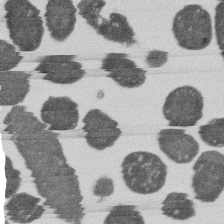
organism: E. coli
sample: Bacterial nucleoid